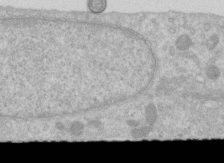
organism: Human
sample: Centriole in RPE cells